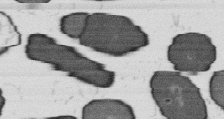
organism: B. subtilis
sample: Bacterial spore